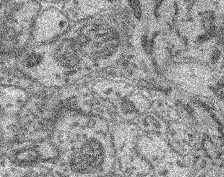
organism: Mouse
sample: Retina